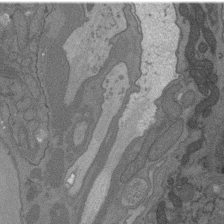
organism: C. elegans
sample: AFD neurons C. elegans